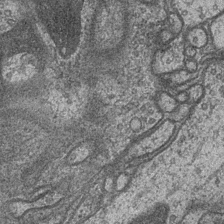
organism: Drosophila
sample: Optic medulla